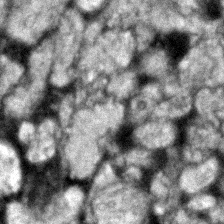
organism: Zebrafish